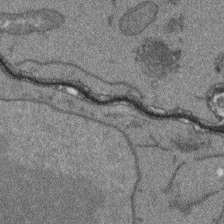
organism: Arabidopsis thaliana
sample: Root tip